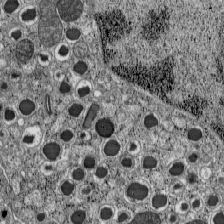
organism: C57BL Mouse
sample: Pancreatic islet